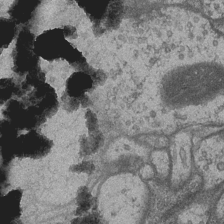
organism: Drosophila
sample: Optic medulla